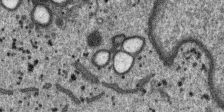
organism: Human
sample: Lung epithelial cells infected with SARS-CoV-2